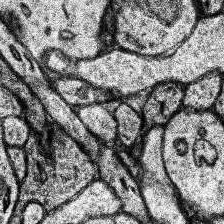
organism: Human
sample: Temporal Lobe